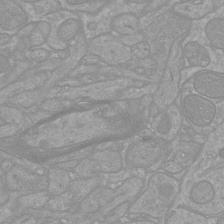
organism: Mouse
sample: Cortical neurons